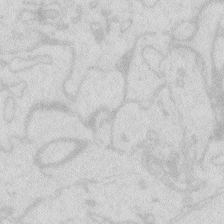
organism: Zebrafish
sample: Macrophage